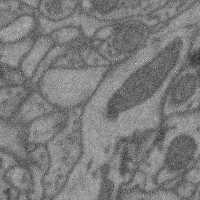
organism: Mouse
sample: Cerebral cortex